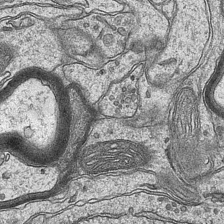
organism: Mouse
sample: CA1 Hippocampus